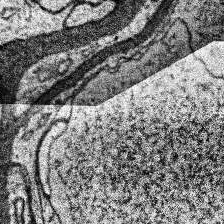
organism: Human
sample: Temporal Lobe